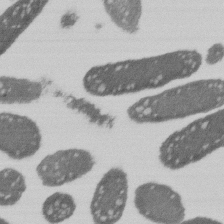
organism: E. coli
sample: Bacterial nucleoid